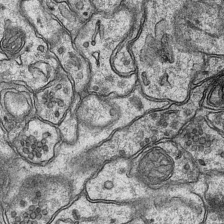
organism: Mouse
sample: CA1 Hippocampus